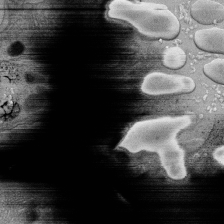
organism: Human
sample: Retinal organoid Rod and Cone cells